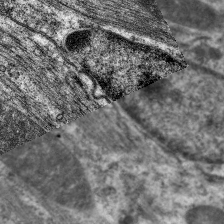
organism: C. elegans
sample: Pharynx